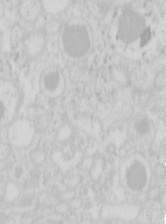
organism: Mouse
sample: Pancreas